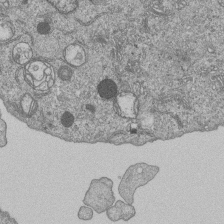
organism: Human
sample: MDA-MB-231 cells